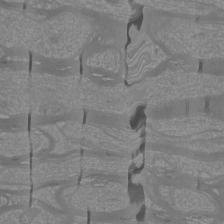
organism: Mouse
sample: Cortical neurons